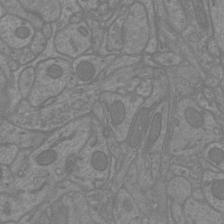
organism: Mouse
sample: Cortical neurons